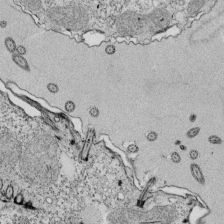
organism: Tetrahymena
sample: Cilia in tetrahymena